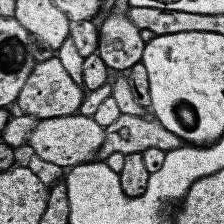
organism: Human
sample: Temporal Lobe